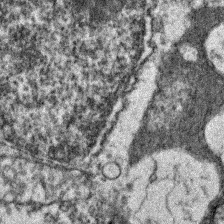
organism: Zebrafish